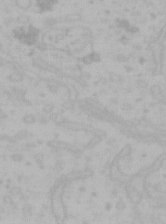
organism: Mouse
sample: Choroid plexus